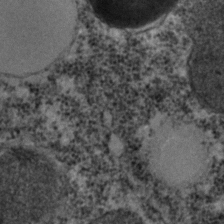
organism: C. elegans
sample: C. elegans embryo